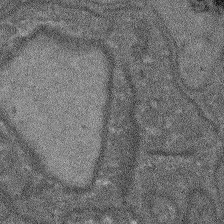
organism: Arabidopsis thaliana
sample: Root tip